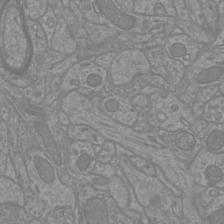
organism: Mouse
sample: Cortical neurons